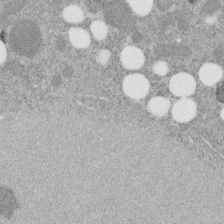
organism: C. elegans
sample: C. elegans embryo early stage